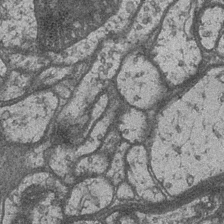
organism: Drosophila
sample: Optic medulla